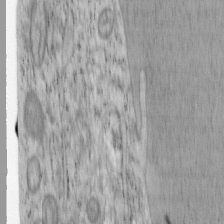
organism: Human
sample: HeLa cells